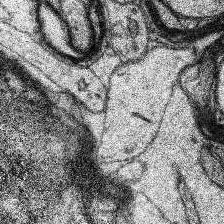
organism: Human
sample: Temporal Lobe